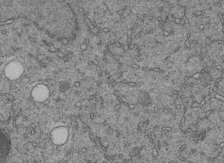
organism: C. elegans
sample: C. elegans embryo early stage